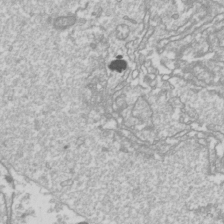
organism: Drosophila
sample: Cell division; meiosis; drosophila spermatocytes